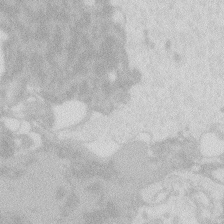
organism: Zebrafish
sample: Macrophage